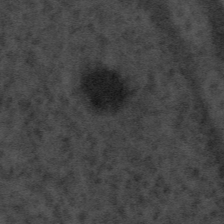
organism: Tuwongella immobilis